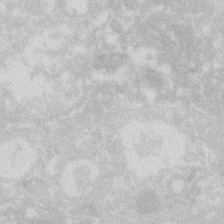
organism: Zebrafish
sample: Macrophage